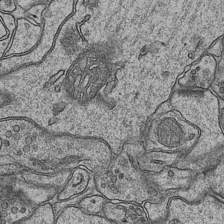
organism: Mouse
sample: CA1 Hippocampus